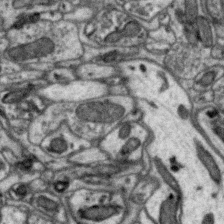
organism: Zebra finch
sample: Brain